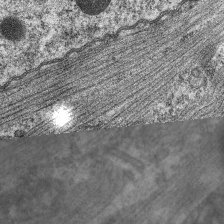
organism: C. elegans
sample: Pharynx